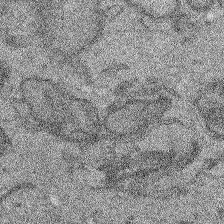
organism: Human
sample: HeLa cells